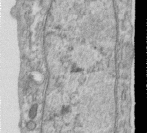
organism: Human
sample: Centriole in RPE cells